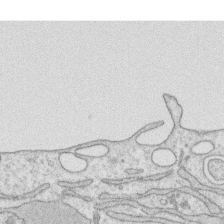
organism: Human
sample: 1205lu cells